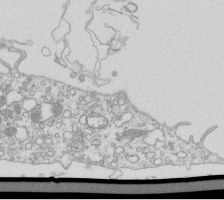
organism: Mouse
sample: Macrophages